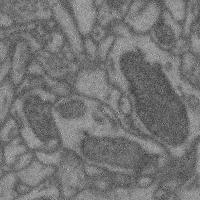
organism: Mouse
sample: Cerebral cortex